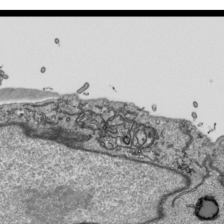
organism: Human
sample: Mitochondria in HCT116 cells